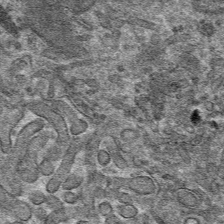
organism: Mouse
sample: Mouse hepatocytes